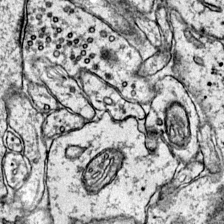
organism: Mouse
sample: Primary visual cortex